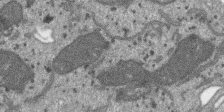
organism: Human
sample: Lung epithelial cells infected with SARS-CoV-2